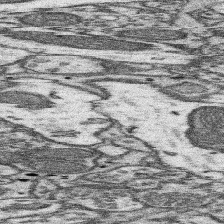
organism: Mouse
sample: Somatosensory cortex neuropil